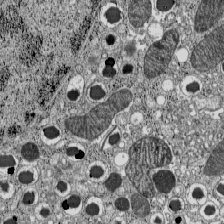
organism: C57BL Mouse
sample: Pancreatic islet